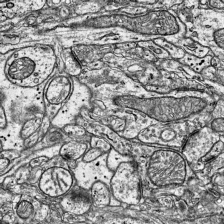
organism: Mouse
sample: Visual Cortex